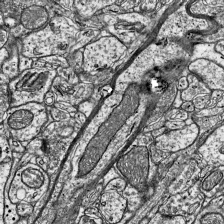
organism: Mouse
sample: Visual Cortex